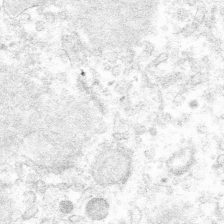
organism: Mouse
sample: Mouse hepatocytes